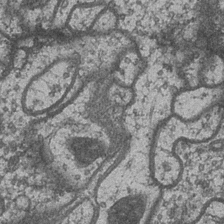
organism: Drosophila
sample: Optic medulla